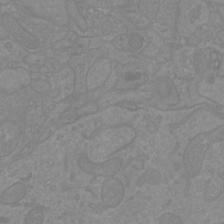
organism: Mouse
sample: Cortical neurons